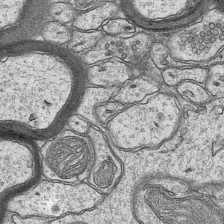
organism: Mouse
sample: CA1 Hippocampus